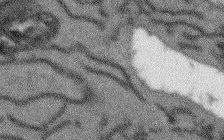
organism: Arabidopsis thaliana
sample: Root tip